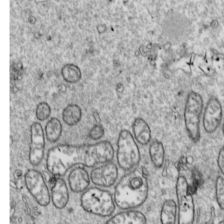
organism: Drosophila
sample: Cell division; meiosis; drosophila spermatocytes